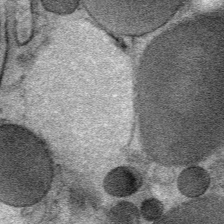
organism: Mouse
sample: Mouse Salivary gland